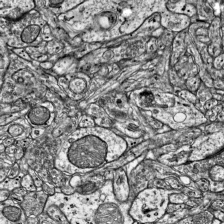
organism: Mouse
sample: Visual Cortex